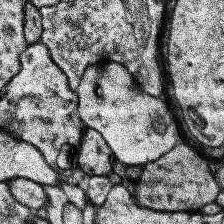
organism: Human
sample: Temporal Lobe